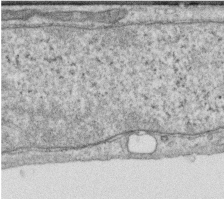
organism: Human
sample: Centriole in RPE cells